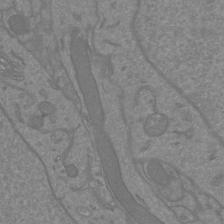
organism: Mouse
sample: Cortical neurons